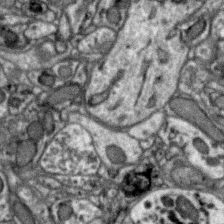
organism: Zebra finch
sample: Brain